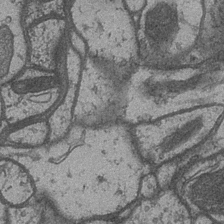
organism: Drosophila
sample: Optic medulla